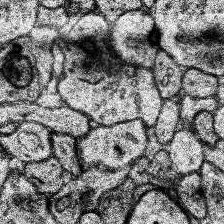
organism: Human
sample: Temporal Lobe